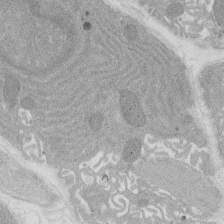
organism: Rat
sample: Salivary granule